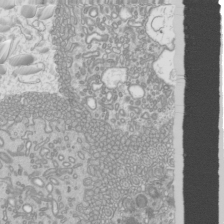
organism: Mouse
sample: Cilia; mouse epididymis